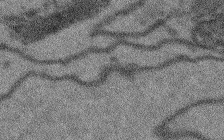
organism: Arabidopsis thaliana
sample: Root tip